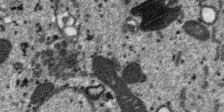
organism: Human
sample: Lung epithelial cells infected with SARS-CoV-2